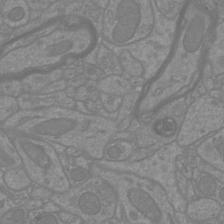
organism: Mouse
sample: Cortical neurons